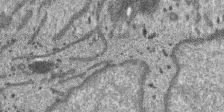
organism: Human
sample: Lung epithelial cells infected with SARS-CoV-2